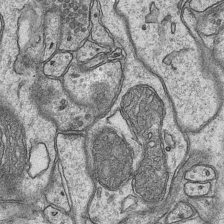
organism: Mouse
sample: CA1 Hippocampus